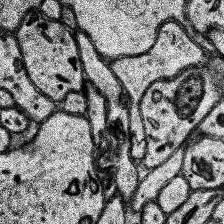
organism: Human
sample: Temporal Lobe